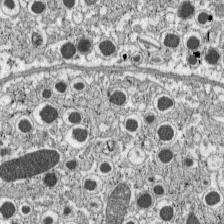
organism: C57BL Mouse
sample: Pancreatic islet